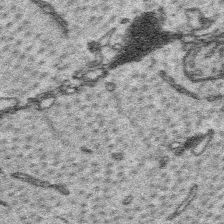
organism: Platynereis dumerilii